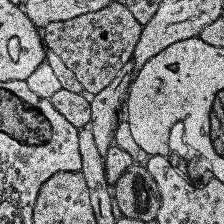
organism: Human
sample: Temporal Lobe